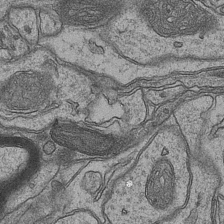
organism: Mouse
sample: CA1 Hippocampus